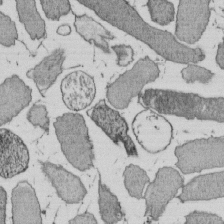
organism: E. coli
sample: Bacterial nucleoid